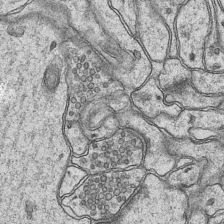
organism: Mouse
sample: CA1 Hippocampus